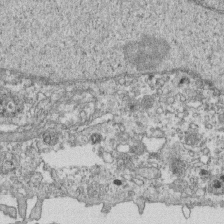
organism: Human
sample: HeLa cell HIV synapse